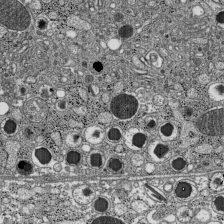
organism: C57BL Mouse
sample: Pancreatic islet